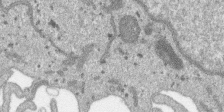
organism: Human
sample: Lung epithelial cells infected with SARS-CoV-2